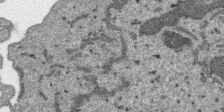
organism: Human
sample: Lung epithelial cells infected with SARS-CoV-2